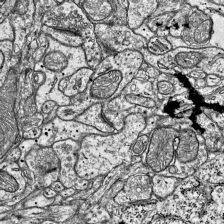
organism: Mouse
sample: Visual Cortex